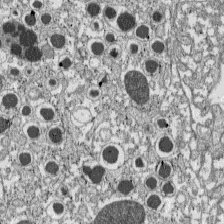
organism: C57BL Mouse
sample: Pancreatic islet